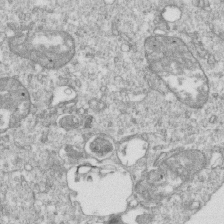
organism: Mouse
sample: Activated OT-1 CD8+ T cells